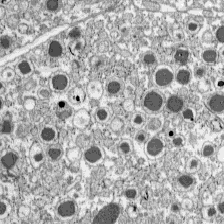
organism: C57BL Mouse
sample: Pancreatic islet